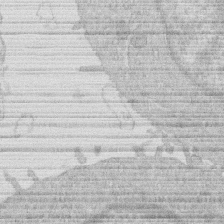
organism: Human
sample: Macrophage cells